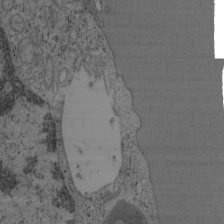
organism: Mouse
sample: OT-I killer T cells with ID8 ovarian cancer cells